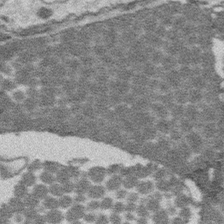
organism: Platynereis dumerilii